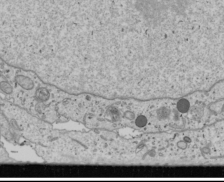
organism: Human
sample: Mitochondria in U2OS cells